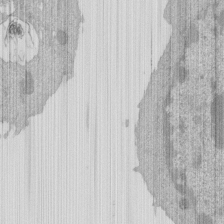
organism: Mouse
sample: Activated Pmel transgenic CD8+ T Cells